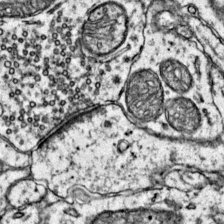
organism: Mouse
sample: Primary visual cortex